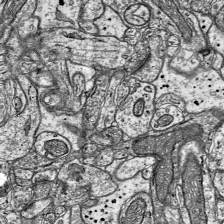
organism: Mouse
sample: Visual Cortex